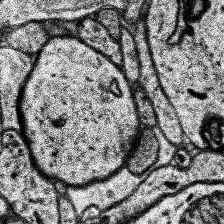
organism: Human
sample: Temporal Lobe